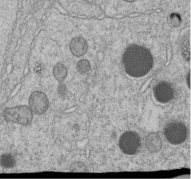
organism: C. elegans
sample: C. elegans embryo early stage